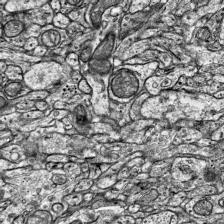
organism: Mouse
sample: Visual Cortex